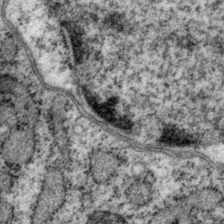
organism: P. pacificus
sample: Pharynx